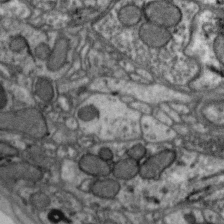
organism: Zebra finch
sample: Brain